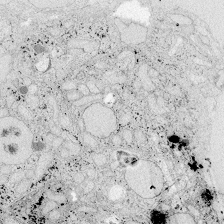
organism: Zebrafish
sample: Whole-Brain